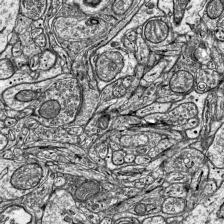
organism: Mouse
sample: Visual Cortex